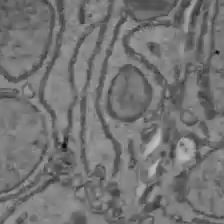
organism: C57BL Mouse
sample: Liver